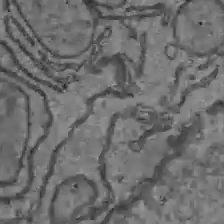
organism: C57BL Mouse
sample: Liver